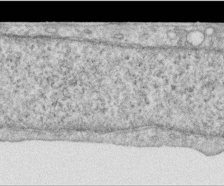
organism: Human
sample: Centriole in RPE cells